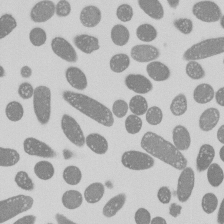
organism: E. coli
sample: Bacterial nucleoid